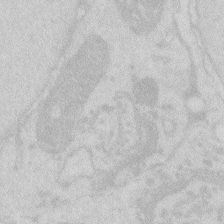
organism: Zebrafish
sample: Macrophage